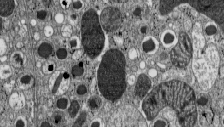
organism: C57BL Mouse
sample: Pancreatic islet